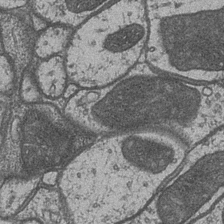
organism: Drosophila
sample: Optic medulla